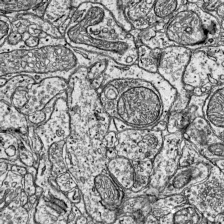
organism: Mouse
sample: Visual Cortex